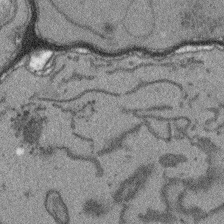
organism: Arabidopsis thaliana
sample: Root tip